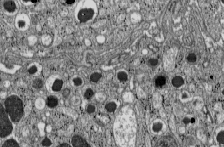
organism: C57BL Mouse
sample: Pancreatic islet